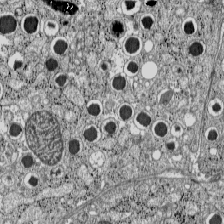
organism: C57BL Mouse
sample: Pancreatic islet